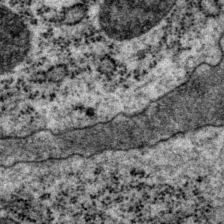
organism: P. pacificus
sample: Pharynx